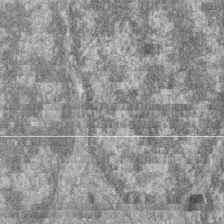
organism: Zebrafish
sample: Cilia; retinal pigment epithelium